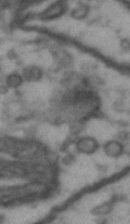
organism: Drosophila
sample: Brain